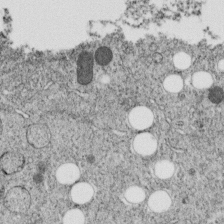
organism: C. elegans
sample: C. elegans embryo early stage